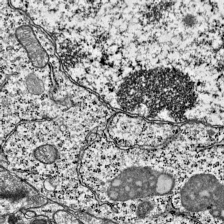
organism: Mouse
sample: Visual Cortex